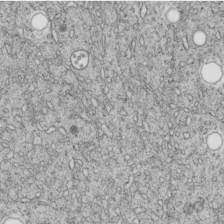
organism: C. elegans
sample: C. elegans embryo early stage